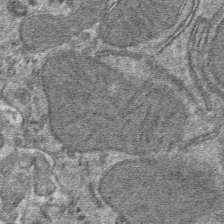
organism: Mouse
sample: Mouse hepatocytes